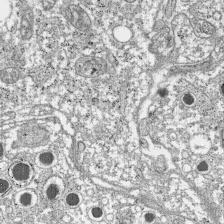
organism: C57BL Mouse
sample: Pancreatic islet